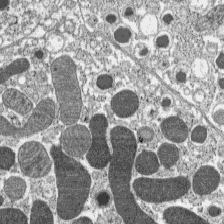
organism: C57BL Mouse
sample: Pancreatic islet